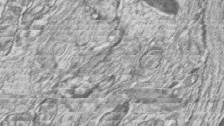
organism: Zebrafish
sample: synaptic ribbons in rod cells and cone cells